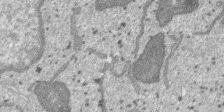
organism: Human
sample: Lung epithelial cells infected with SARS-CoV-2